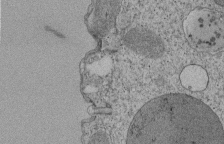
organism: Tetrahymena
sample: Cilia in tetrahymena